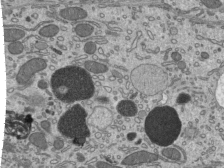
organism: Mouse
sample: Mouse epididymis efferent ductule cilia